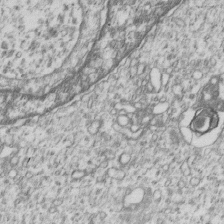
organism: Human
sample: MDA-MB-231 cells